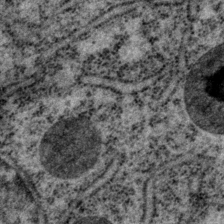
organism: P. pacificus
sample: Pharynx